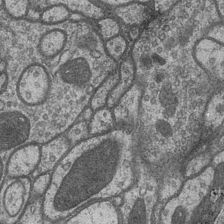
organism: Drosophila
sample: Optic medulla